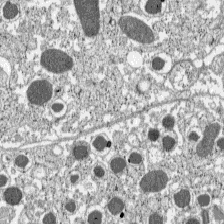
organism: C57BL Mouse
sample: Pancreatic islet